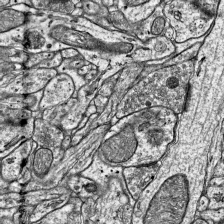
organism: Mouse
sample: Visual Cortex